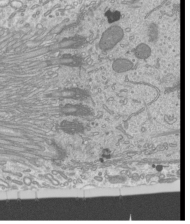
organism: Mouse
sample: Cilia; mouse epididymis